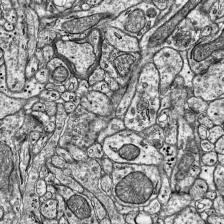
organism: Mouse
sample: Visual Cortex